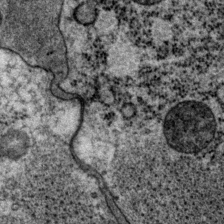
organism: P. pacificus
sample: Pharynx